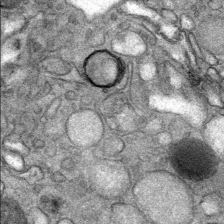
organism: Mouse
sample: Mouse Salivary gland